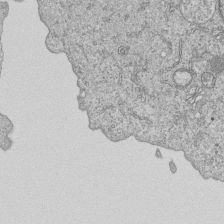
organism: Human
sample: MDA-MB-231 cells